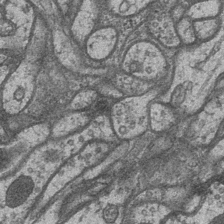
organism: Drosophila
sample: Optic medulla